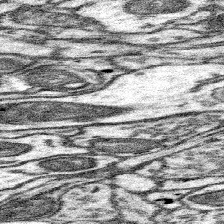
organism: Mouse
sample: Somatosensory cortex neuropil